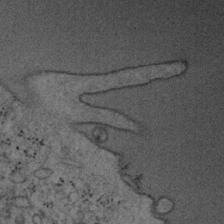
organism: Human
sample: HeLa cells